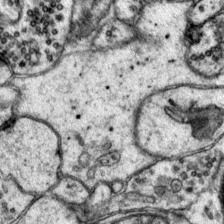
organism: Mouse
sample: Primary visual cortex